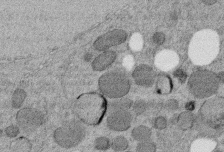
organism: C. elegans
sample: C. elegans embryo early stage